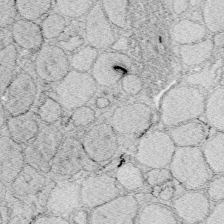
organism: Zebrafish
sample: Whole-Brain